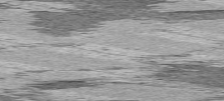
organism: C57BL Mouse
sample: Heart